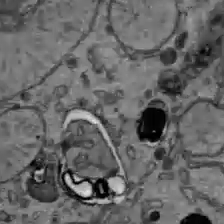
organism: C57BL Mouse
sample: Liver